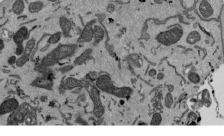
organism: Mouse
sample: ED-1 cell nuclei; centrioles